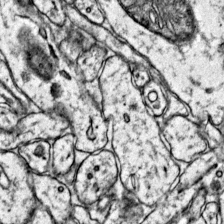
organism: Mouse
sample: Primary visual cortex